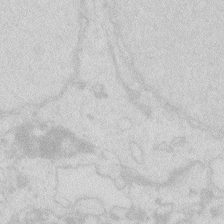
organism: Zebrafish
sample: Macrophage